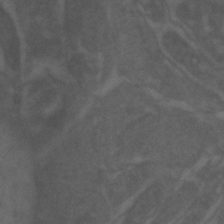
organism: Zebrafish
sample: Zebrafish embryo